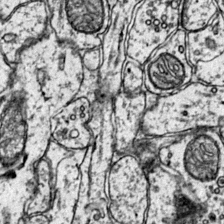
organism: Mouse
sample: Primary visual cortex